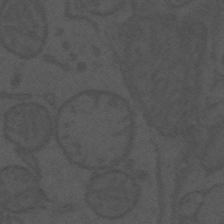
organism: Mouse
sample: Suprachiasmatic nucleus